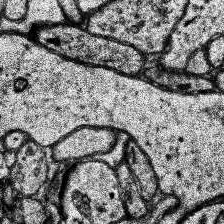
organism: Human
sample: Temporal Lobe